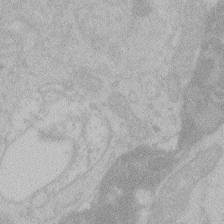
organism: Zebrafish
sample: Macrophage infected with Toxoplasma gondii